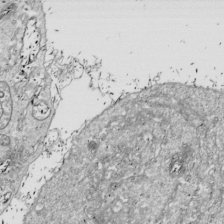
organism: Drosophila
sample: Cell division; meiosis; drosophila spermatocytes